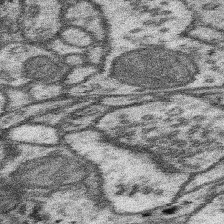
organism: Mouse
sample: Somatosensory cortex neuropil